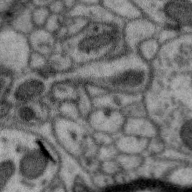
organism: Zebra finch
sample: Brain